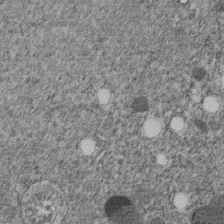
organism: C. elegans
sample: C. elegans embryo early stage